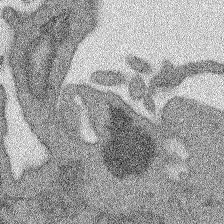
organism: Human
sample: HeLa cells